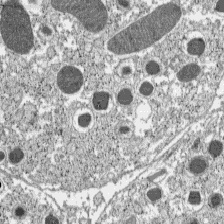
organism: C57BL Mouse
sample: Pancreatic islet